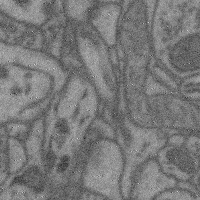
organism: Mouse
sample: Cerebral cortex